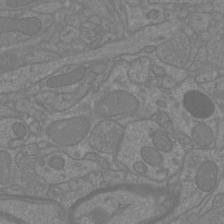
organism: Mouse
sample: Cortical neurons